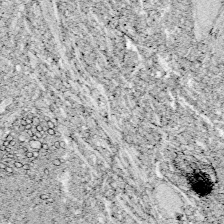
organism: Zebrafish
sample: Whole-Brain